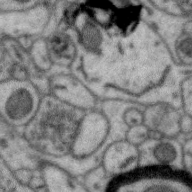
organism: Zebra finch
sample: Brain